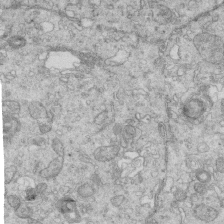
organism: Mouse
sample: Multiciliated cells